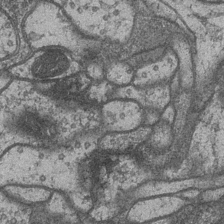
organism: Drosophila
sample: Optic medulla